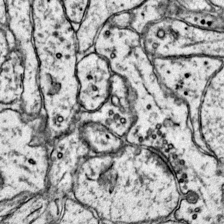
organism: Mouse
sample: Primary visual cortex